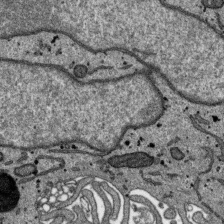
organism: Human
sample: Lung epithelial cells, uninfected (mock) control